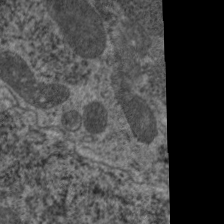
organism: C. elegans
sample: Pharynx